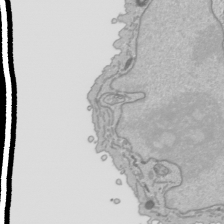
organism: Human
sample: Mitochondria in HCT116 cells